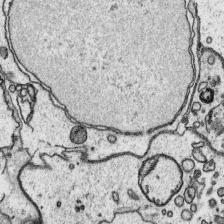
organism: Platynereis dumerilii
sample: Parapodia